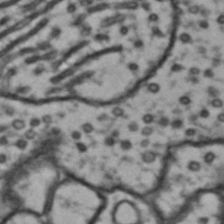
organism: Drosophila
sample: Brain